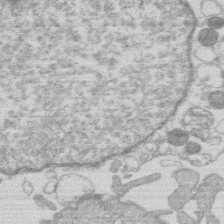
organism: Human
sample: Macrophage cells